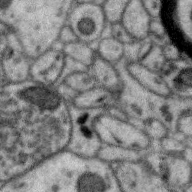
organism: Zebra finch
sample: Brain